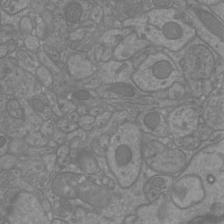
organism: Mouse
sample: Cortical neurons